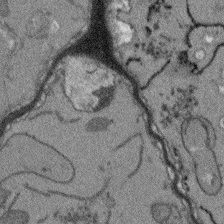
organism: Arabidopsis thaliana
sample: Root tip